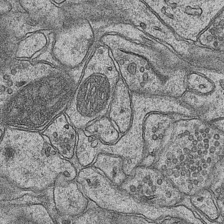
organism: Mouse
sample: CA1 Hippocampus